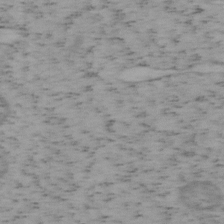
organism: Mouse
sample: OT-I killer T cells with ID8 ovarian cancer cells